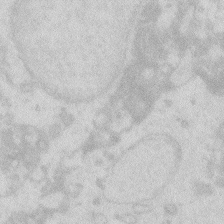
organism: Zebrafish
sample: Macrophage